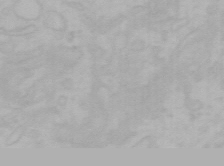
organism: Mouse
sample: Choroid plexus